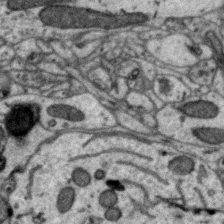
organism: Zebra finch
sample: Brain